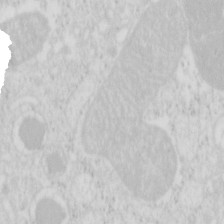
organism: Mouse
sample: Pancreas